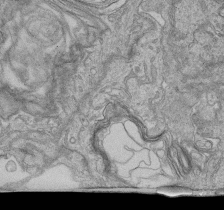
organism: Human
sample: Retinal organoid Rod and Cone cells